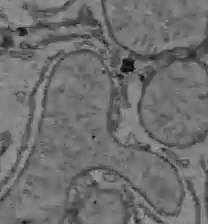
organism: C57BL Mouse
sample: Liver